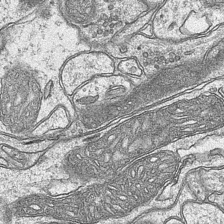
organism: Mouse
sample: CA1 Hippocampus